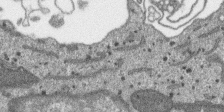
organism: Human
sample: Lung epithelial cells infected with SARS-CoV-2